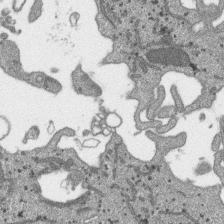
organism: Human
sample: Lung epithelial cells infected with SARS-CoV-2